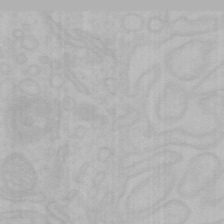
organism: Mouse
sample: Choroid plexus